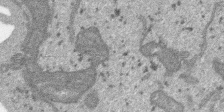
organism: Human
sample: Lung epithelial cells infected with SARS-CoV-2